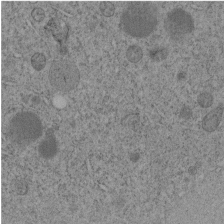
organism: C. elegans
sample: C. elegans embryo early stage